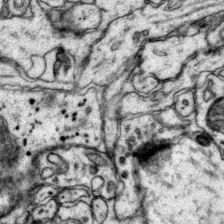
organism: Mouse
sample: Primary visual cortex